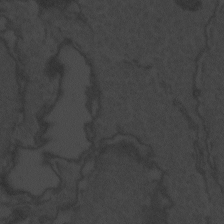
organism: Zebrafish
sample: Macrophage infected with Toxoplasma gondii